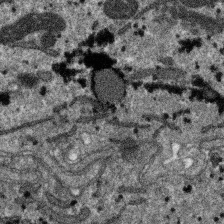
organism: Human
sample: Lung epithelial cells infected with SARS-CoV-2